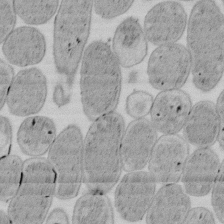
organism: E. coli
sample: Bacterial nucleoid